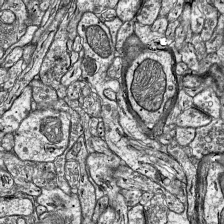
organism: Mouse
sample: Visual Cortex